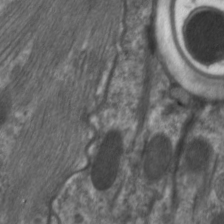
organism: C. elegans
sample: Pharynx